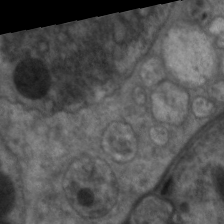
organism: C. elegans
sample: Pharynx